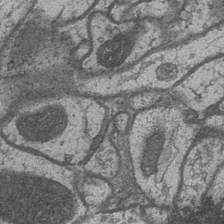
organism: Drosophila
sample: Optic medulla